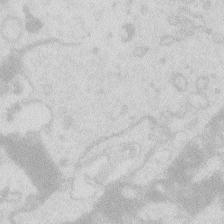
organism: Zebrafish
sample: Macrophage